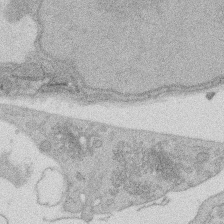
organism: Rat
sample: Salivary granule